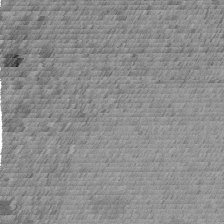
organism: C. elegans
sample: C. elegans embryo early stage